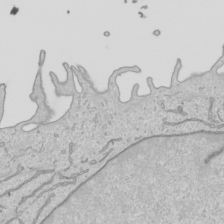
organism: Human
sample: Mitochondria in HCT116 cells